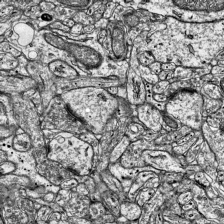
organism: Mouse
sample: Visual Cortex